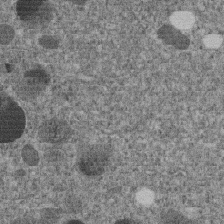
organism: C. elegans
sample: C. elegans embryo early stage